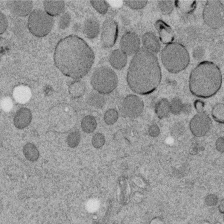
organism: C. elegans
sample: C. elegans embryo early stage